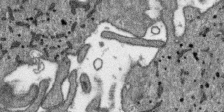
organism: Human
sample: Lung epithelial cells, uninfected (mock) control